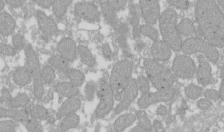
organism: Xenopus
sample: Cilia; centrioles in frog embryo cells